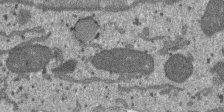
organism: Human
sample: Lung epithelial cells infected with SARS-CoV-2